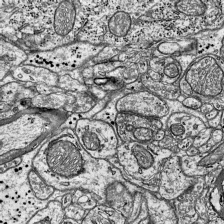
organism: Mouse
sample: Visual Cortex